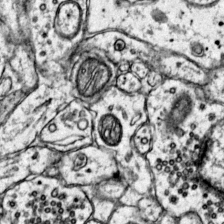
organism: Mouse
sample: Primary visual cortex